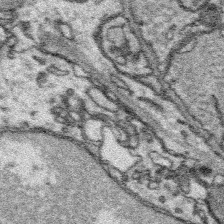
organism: Platynereis dumerilii